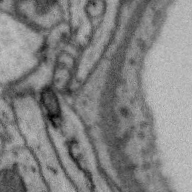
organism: Zebra finch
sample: Brain